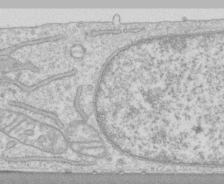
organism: Human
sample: CRL-1474